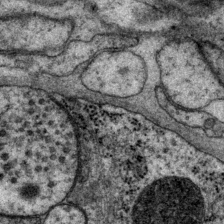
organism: P. pacificus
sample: Pharynx